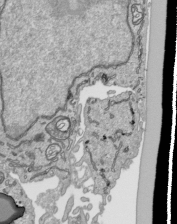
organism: Human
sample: Mitochondria in HCT116 cells